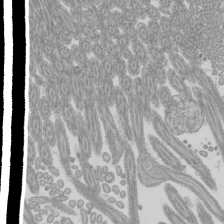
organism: Mouse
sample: Cilia; mouse epididymis